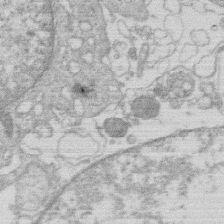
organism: Human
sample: Macrophage cells